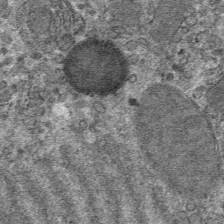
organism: Mouse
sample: Mouse hepatocytes